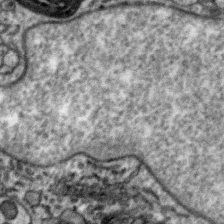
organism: Zebra finch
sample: Brain